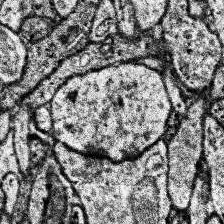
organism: Human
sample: Temporal Lobe